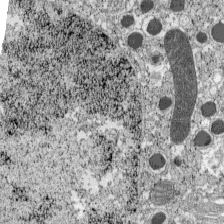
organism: C57BL Mouse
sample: Pancreatic islet